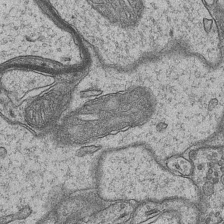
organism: Mouse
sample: CA1 Hippocampus